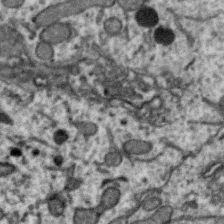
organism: Zebra finch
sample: Brain